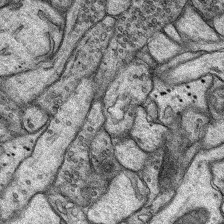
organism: Rat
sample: Hippocampus